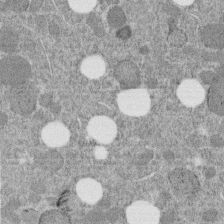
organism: C. elegans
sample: C. elegans embryo early stage